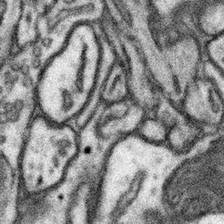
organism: Mouse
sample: Somatosensory cortex neuropil